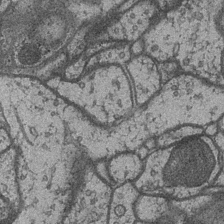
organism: Drosophila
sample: Optic medulla